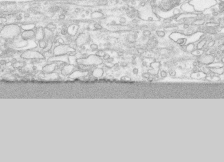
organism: Human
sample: CRL-1474